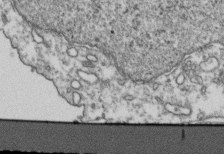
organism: Human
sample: Activated Jurkat CD4+ T cells